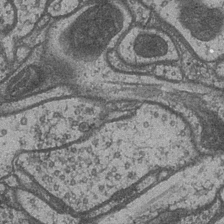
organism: Drosophila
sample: Optic medulla